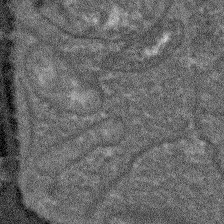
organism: Arabidopsis thaliana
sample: Root tip